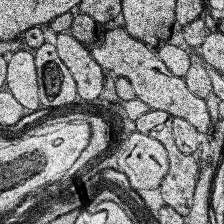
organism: Human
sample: Temporal Lobe